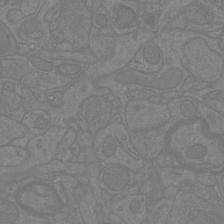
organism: Mouse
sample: Cortical neurons